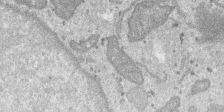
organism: Human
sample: Lung epithelial cells infected with SARS-CoV-2